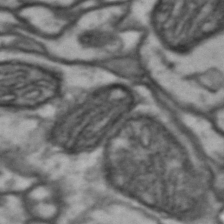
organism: Drosophila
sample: Brain